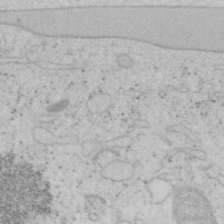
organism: Human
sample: HeLa cells